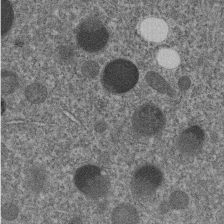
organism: C. elegans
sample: C. elegans embryo early stage